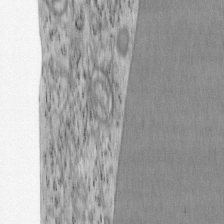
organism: Human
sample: HeLa cells